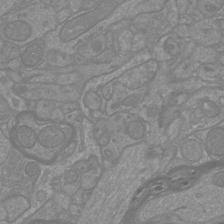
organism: Mouse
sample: Cortical neurons